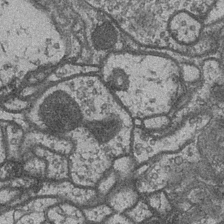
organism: Drosophila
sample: Optic medulla